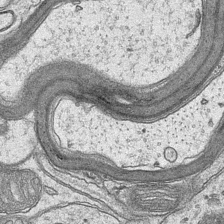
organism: Mouse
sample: CA1 Hippocampus